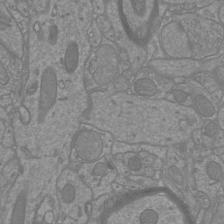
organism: Mouse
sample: Cortical neurons